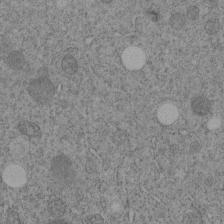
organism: C. elegans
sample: C. elegans embryo early stage